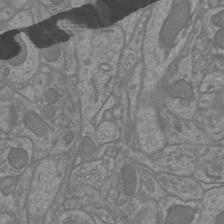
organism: Mouse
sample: Cortical neurons